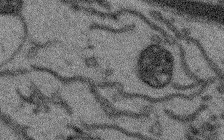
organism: Arabidopsis thaliana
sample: Root tip